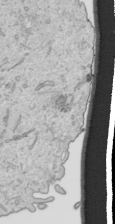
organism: Human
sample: Mitochondria in HCT116 cells